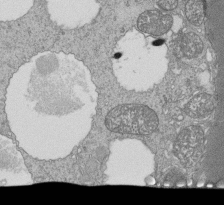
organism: Tetrahymena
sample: Cilia in tetrahymena